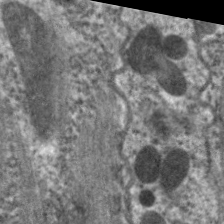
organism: C. elegans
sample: Pharynx